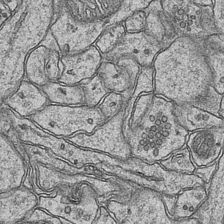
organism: Mouse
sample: CA1 Hippocampus